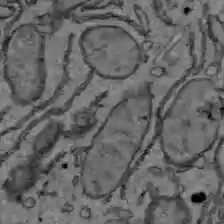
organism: C57BL Mouse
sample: Liver